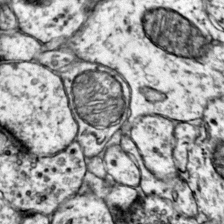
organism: Mouse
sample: Primary visual cortex